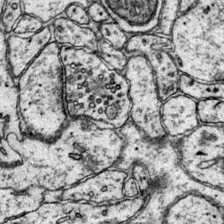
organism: Mouse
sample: Primary visual cortex